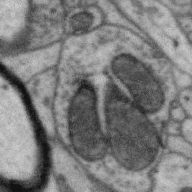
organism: Zebra finch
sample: Brain